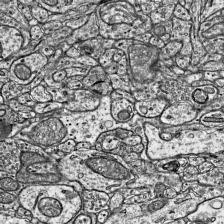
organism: Mouse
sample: Visual Cortex